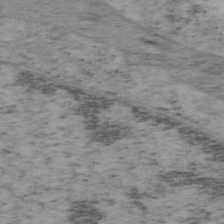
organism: Mouse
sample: OT-I killer T cells with ID8 ovarian cancer cells